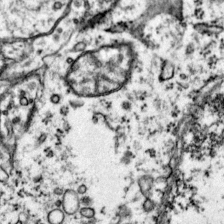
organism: Mouse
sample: Primary visual cortex